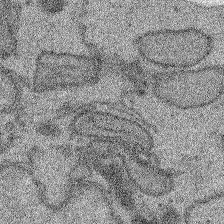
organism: Human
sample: HeLa cells